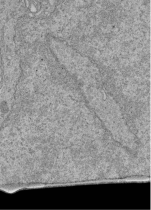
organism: Human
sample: Retinal organoid Rod and Cone cells